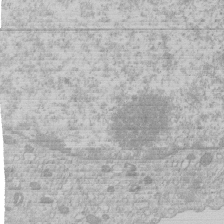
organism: Human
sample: Macrophage cells